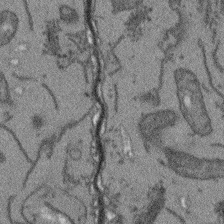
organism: Arabidopsis thaliana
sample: Root tip